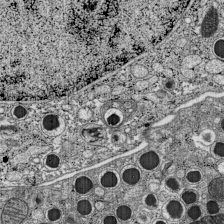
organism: C57BL Mouse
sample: Pancreatic islet